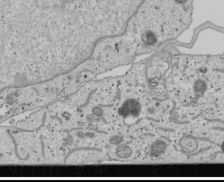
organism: Human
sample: Mitochondria in U2OS cells